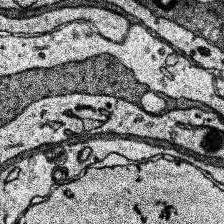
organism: Human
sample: Temporal Lobe